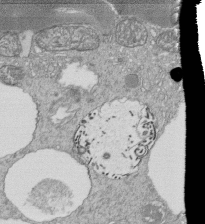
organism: Tetrahymena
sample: Cilia in tetrahymena